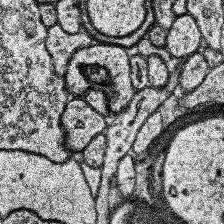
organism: Human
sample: Temporal Lobe